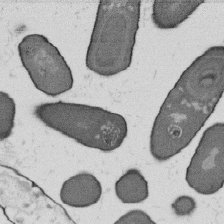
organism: B. subtilis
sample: Bacterial spore